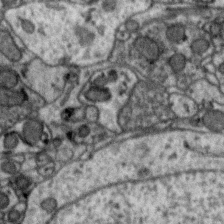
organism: Zebra finch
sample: Brain